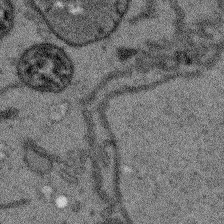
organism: Arabidopsis thaliana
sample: Root tip